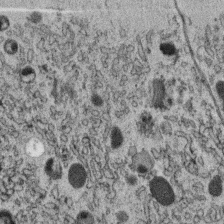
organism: C. elegans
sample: C. elegans oocyte; sperm cells